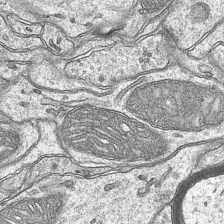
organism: Mouse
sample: CA1 Hippocampus